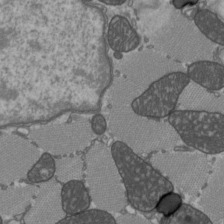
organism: C57BL Mouse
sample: Heart